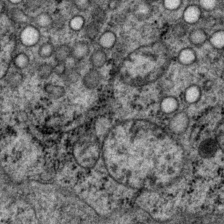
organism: P. pacificus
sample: Pharynx